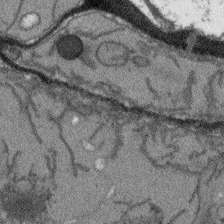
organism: Arabidopsis thaliana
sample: Root tip